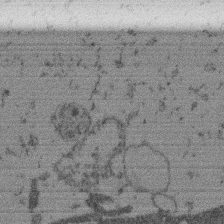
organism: Mouse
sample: Dividing mouse embryo 1 cell stage